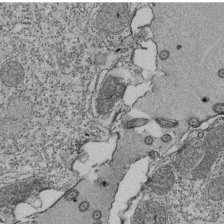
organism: Tetrahymena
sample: Cilia in tetrahymena